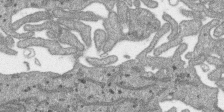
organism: Human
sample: Lung epithelial cells infected with SARS-CoV-2